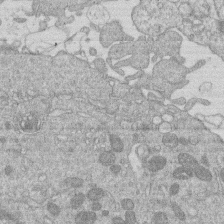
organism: Human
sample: Macrophage cells